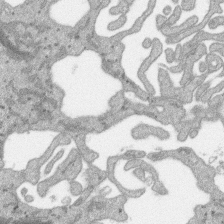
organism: Human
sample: Lung epithelial cells infected with SARS-CoV-2